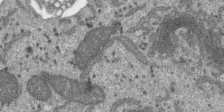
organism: Human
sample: Lung epithelial cells infected with SARS-CoV-2